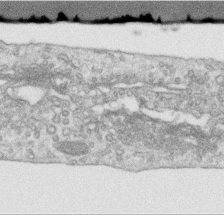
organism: Human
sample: Centriole in RPE cells